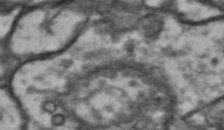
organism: Drosophila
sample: Brain